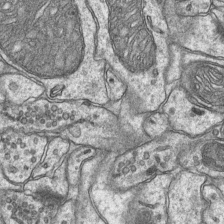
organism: Mouse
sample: CA1 Hippocampus